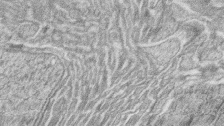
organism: Zebrafish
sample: synaptic ribbons in rod cells and cone cells